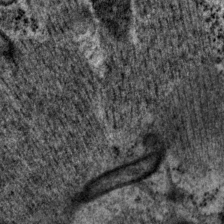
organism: P. pacificus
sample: Pharynx